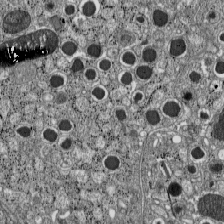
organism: C57BL Mouse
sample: Pancreatic islet